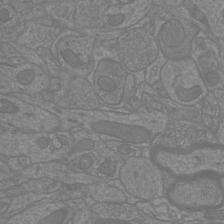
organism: Mouse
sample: Cortical neurons